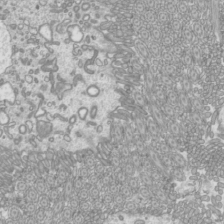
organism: Mouse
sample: Cilia; mouse epididymis